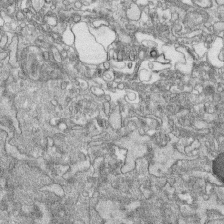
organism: Human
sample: CRL-1474